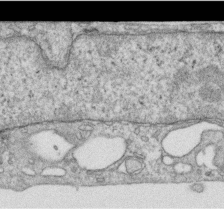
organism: Human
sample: Centriole in RPE cells